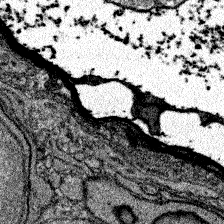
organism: Zebrafish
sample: Larval olfactory bulb